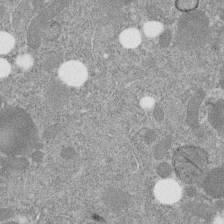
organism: C. elegans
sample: C. elegans embryo early stage